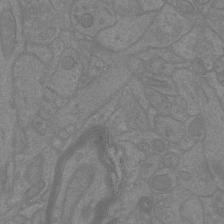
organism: Mouse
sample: Cortical neurons